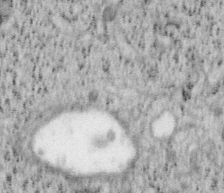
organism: Mouse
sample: OT-I killer T cells with ID8 ovarian cancer cells